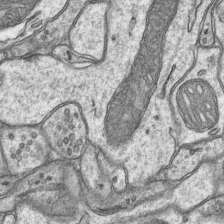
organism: Mouse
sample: CA1 Hippocampus